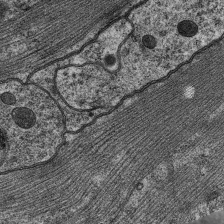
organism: C. elegans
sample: Pharynx